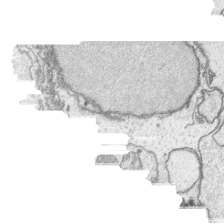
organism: Platynereis dumerilii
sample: Parapodia